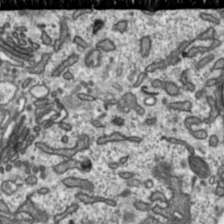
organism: Toxoplasma gondii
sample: Parasites in a vacuole inside a host cell